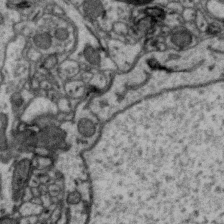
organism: Zebra finch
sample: Brain